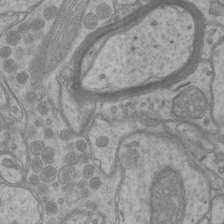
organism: Mouse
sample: CA1 Hippocampus